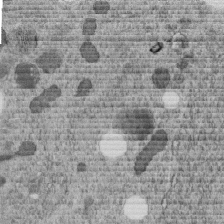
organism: C. elegans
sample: C. elegans embryo early stage